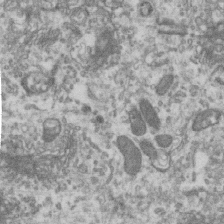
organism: Human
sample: Centriole in RPE cells